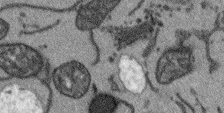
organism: Arabidopsis thaliana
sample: Root tip